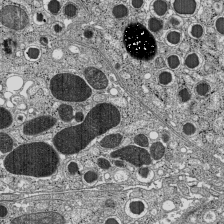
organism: C57BL Mouse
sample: Pancreatic islet